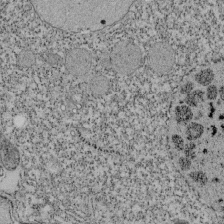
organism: Tetrahymena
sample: Cilia in tetrahymena